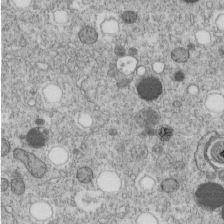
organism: C. elegans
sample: C. elegans embryo early stage